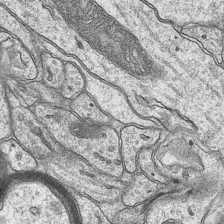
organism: Mouse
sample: CA1 Hippocampus